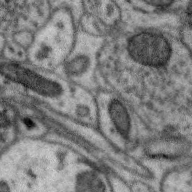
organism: Zebra finch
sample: Brain